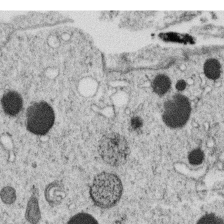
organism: C. elegans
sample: C. elegans oocyte; sperm cells